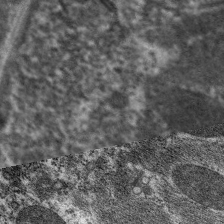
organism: C. elegans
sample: Pharynx